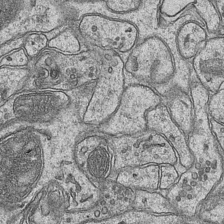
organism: Mouse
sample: CA1 Hippocampus